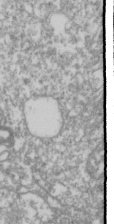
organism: Drosophila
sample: Cell division; meiosis; drosophila spermatocytes